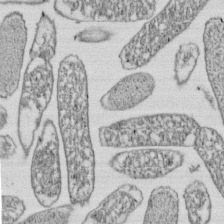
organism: E. coli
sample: Bacterial nucleoid